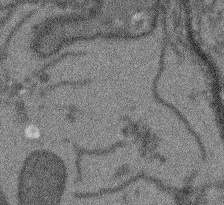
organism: Arabidopsis thaliana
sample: Root tip